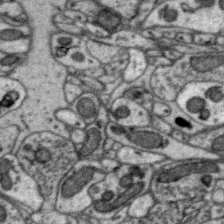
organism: Zebra finch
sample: Brain